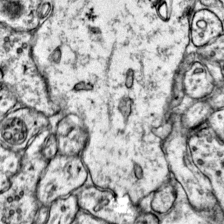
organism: Mouse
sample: Primary visual cortex